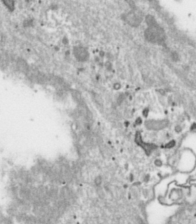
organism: Toxoplasma gondii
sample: Parasites in a vacuole inside a host cell